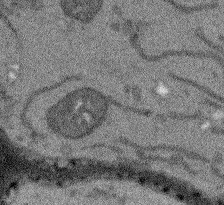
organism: Arabidopsis thaliana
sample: Root tip